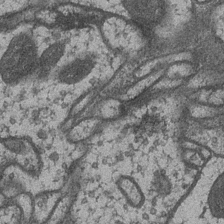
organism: Drosophila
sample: Optic medulla